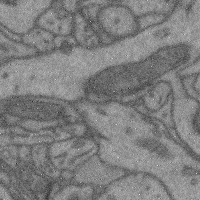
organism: Mouse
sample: Cerebral cortex